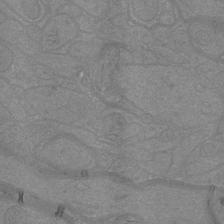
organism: Mouse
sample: Cortical neurons